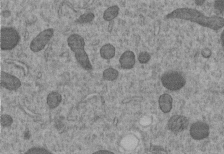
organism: C. elegans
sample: C. elegans embryo early stage